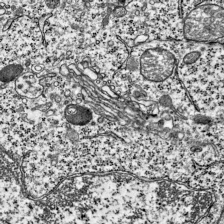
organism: Mouse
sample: Visual Cortex